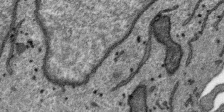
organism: Human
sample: Lung epithelial cells, uninfected (mock) control